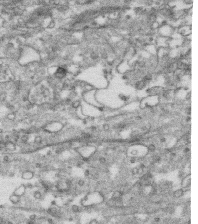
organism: Human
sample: CRL-1474